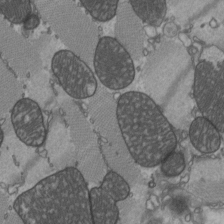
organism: C57BL Mouse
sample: Heart